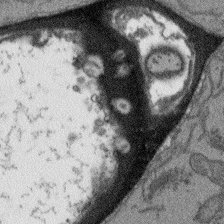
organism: Arabidopsis thaliana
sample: Root tip